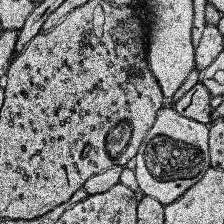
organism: Human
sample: Temporal Lobe